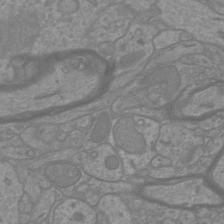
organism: Mouse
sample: Cortical neurons